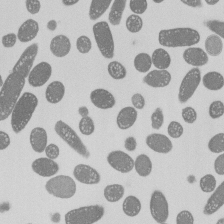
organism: E. coli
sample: Bacterial nucleoid